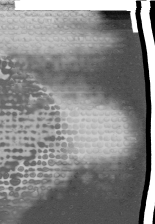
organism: Mouse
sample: Cancer cell death in ED-1 cells